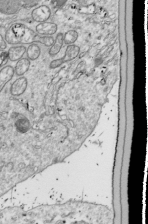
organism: Drosophila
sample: Cell division; meiosis; drosophila spermatocytes